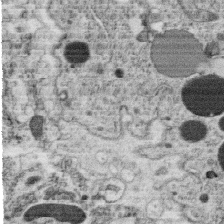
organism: C. elegans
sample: C. elegans oocyte; sperm cells